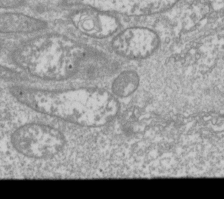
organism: Drosophila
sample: Cell division; meiosis; drosophila spermatocytes